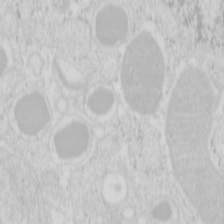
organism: Mouse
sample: Pancreas